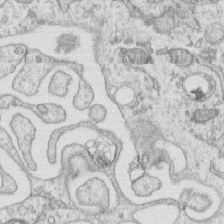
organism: Human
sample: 1205lu cells